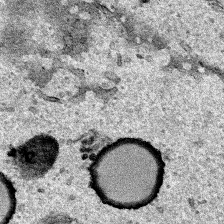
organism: Human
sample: Mitochondria in HCT116 cells